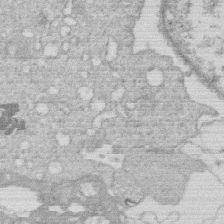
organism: Human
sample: Macrophage cells